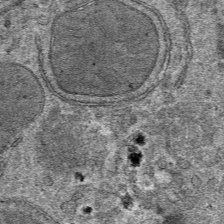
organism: Mouse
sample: Mouse hepatocytes